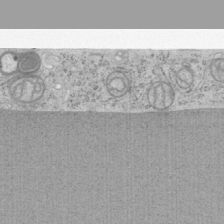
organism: Human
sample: HeLa cells